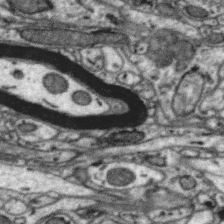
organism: Zebra finch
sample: Brain